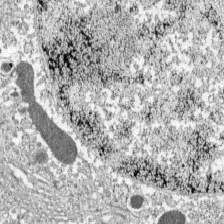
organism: C57BL Mouse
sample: Pancreatic islet